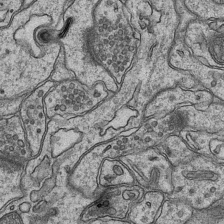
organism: Mouse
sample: CA1 Hippocampus